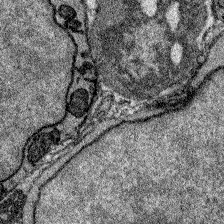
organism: Zebrafish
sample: Larval olfactory bulb